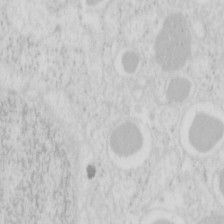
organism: Mouse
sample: Pancreas